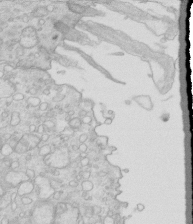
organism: Mouse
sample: Multiciliated cells